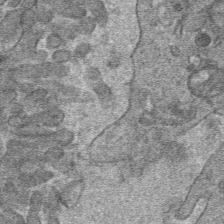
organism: Mouse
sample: Mouse hepatocytes